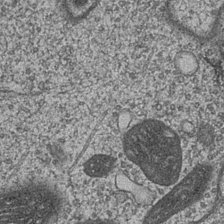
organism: Drosophila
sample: Optic medulla